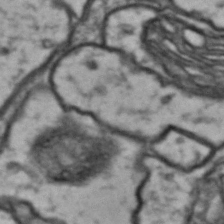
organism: Drosophila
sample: Brain